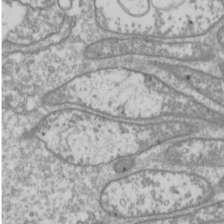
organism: Drosophila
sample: Cell division; meiosis; drosophila spermatocytes